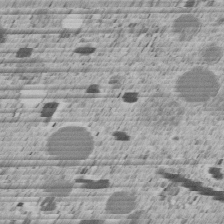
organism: C. elegans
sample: C. elegans embryo early stage